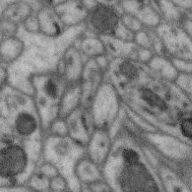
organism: Zebra finch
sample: Brain